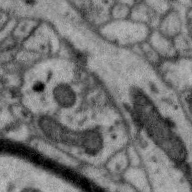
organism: Zebra finch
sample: Brain